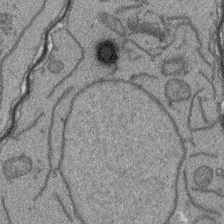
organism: Arabidopsis thaliana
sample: Root tip